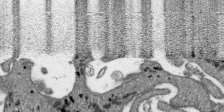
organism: Human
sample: Lung epithelial cells, uninfected (mock) control